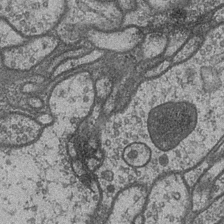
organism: Drosophila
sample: Optic medulla